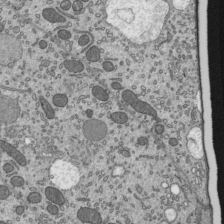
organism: Mouse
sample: Mouse epididymis efferent ductule cilia